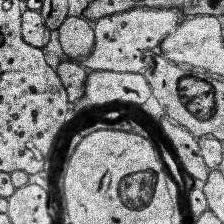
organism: Human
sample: Temporal Lobe